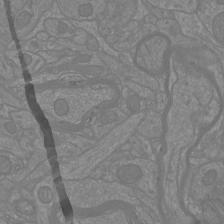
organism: Mouse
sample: Cortical neurons